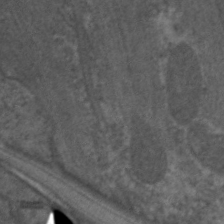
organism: C. elegans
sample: Pharynx